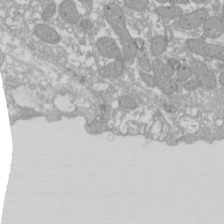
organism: Xenopus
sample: Cilia; centrioles in frog embryo cells